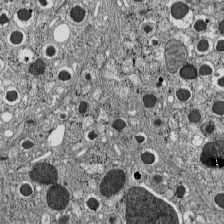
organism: C57BL Mouse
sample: Pancreatic islet